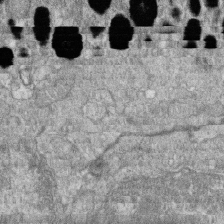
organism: Zebrafish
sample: Cilia; retinal pigment epithelium